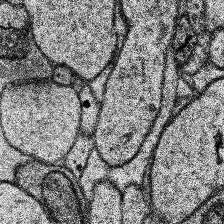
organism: Human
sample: Temporal Lobe